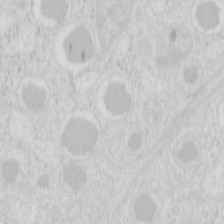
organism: Mouse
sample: Pancreas